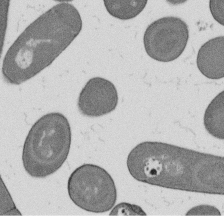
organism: B. subtilis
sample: Bacterial spore